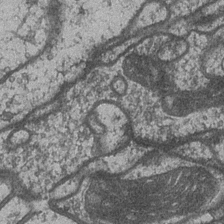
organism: Drosophila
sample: Optic medulla